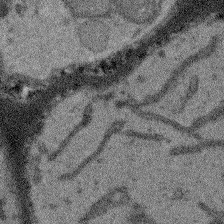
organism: Arabidopsis thaliana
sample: Root tip